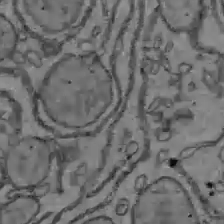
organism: C57BL Mouse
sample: Liver